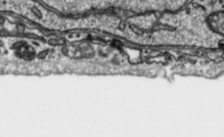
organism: Toxoplasma gondii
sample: Parasites in a vacuole inside a host cell